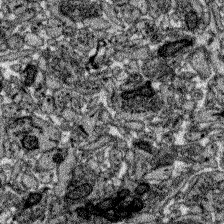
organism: Zebrafish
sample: Larval olfactory bulb